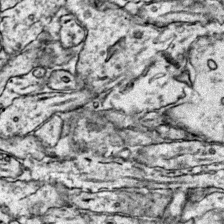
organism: Mouse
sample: Primary visual cortex